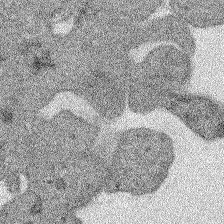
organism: Human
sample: HeLa cells